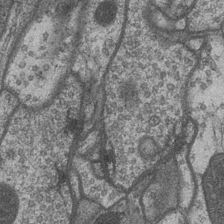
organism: Drosophila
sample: Optic medulla